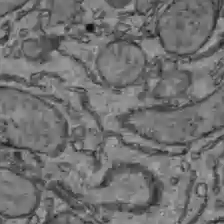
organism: C57BL Mouse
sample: Liver